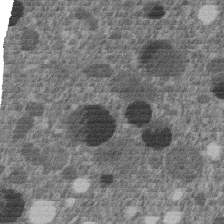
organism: C. elegans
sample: C. elegans embryo early stage